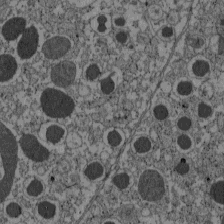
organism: C57BL Mouse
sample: Pancreatic islet